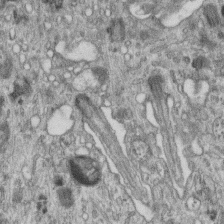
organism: Mouse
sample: Centriole in ependymal cells